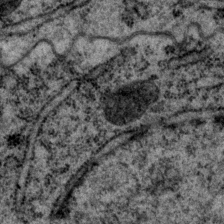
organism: P. pacificus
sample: Pharynx